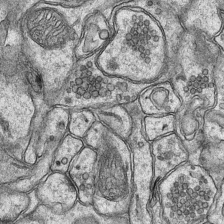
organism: Mouse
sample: CA1 Hippocampus